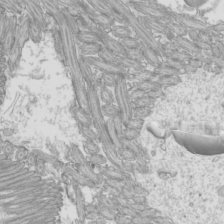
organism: Mouse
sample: Cilia; mouse epididymis